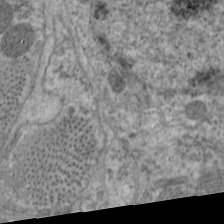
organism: C. elegans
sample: Pharynx